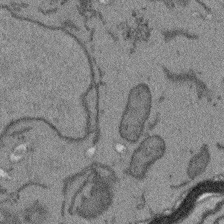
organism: Arabidopsis thaliana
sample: Root tip